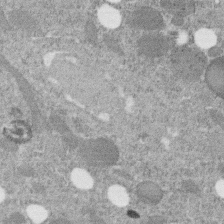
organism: C. elegans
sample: C. elegans embryo early stage